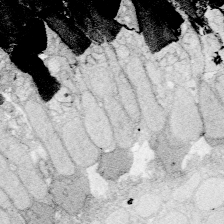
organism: Zebrafish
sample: Whole-Brain